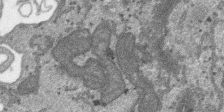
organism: Human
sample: Lung epithelial cells infected with SARS-CoV-2